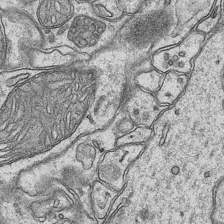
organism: Mouse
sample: CA1 Hippocampus